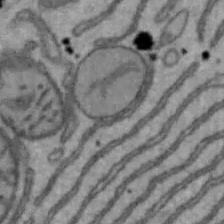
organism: Mouse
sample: Liver